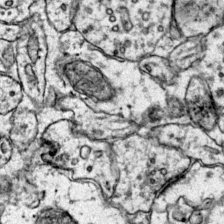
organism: Mouse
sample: Primary visual cortex